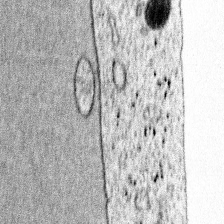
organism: Human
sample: HeLa cells